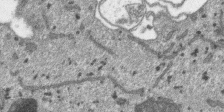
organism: Human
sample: Lung epithelial cells infected with SARS-CoV-2